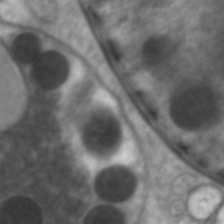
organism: C. elegans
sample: Pharynx